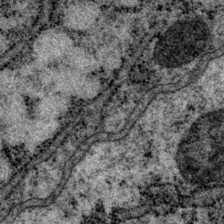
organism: P. pacificus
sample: Pharynx